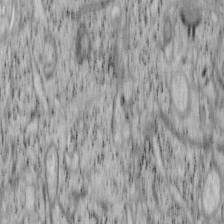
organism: Human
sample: HeLa cells